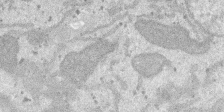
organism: Human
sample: Lung epithelial cells infected with SARS-CoV-2